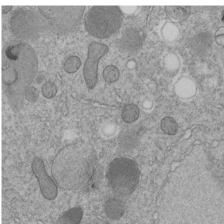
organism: C. elegans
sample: C. elegans embryo early stage